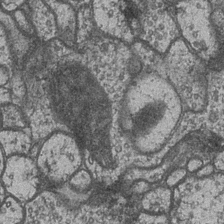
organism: Drosophila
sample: Optic medulla